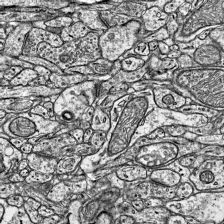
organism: Mouse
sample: Visual Cortex